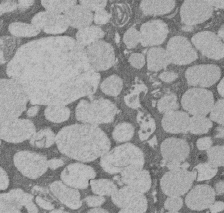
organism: Rat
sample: Salivary granule